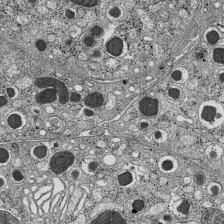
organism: C57BL Mouse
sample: Pancreatic islet